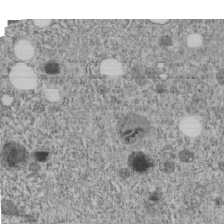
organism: C. elegans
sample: C. elegans embryo early stage